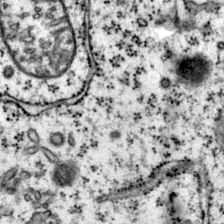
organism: Mouse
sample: Primary visual cortex